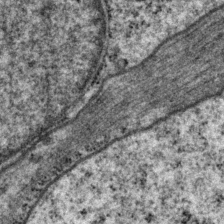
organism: P. pacificus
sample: Pharynx